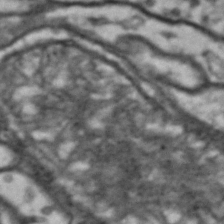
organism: Drosophila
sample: Brain